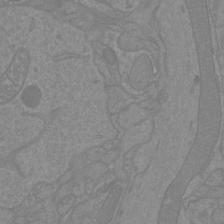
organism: Mouse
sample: Cortical neurons